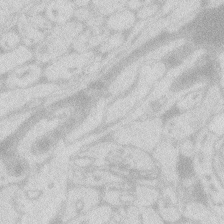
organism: Zebrafish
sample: Macrophage